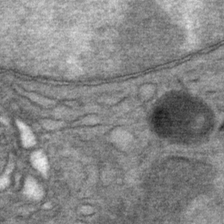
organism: Mouse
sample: Mouse Salivary gland